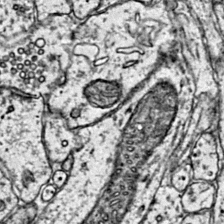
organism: Mouse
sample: Primary visual cortex